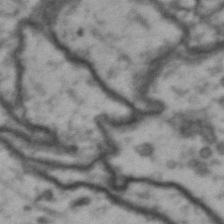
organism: Drosophila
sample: Brain